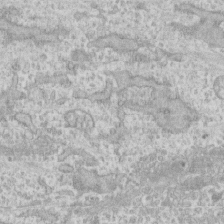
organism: Human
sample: CRL-1474